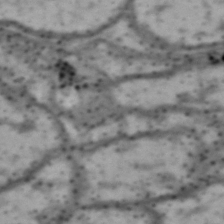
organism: Drosophila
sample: Brain